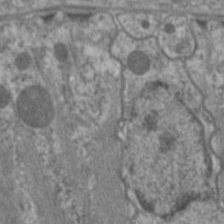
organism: C. elegans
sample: Pharynx